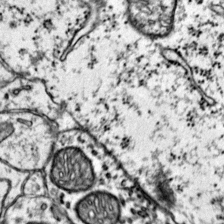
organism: Mouse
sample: Primary visual cortex